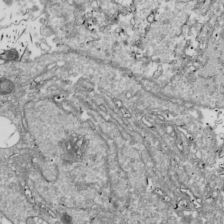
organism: Drosophila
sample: Cell division; meiosis; drosophila spermatocytes